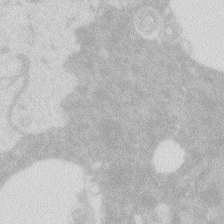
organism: Zebrafish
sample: Macrophage